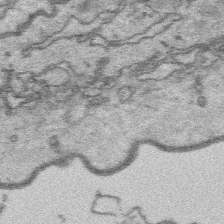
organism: Platynereis dumerilii